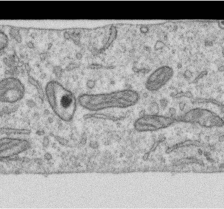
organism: Human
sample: Centriole in RPE cells